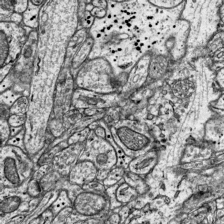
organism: Mouse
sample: Visual Cortex